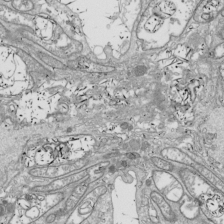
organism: Drosophila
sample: Cell division; meiosis; drosophila spermatocytes